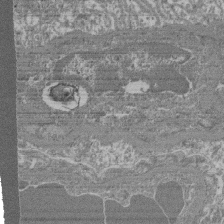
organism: Mouse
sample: Glomerulus